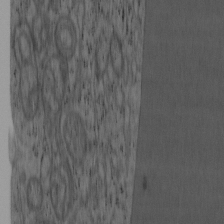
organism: Human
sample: HeLa cells